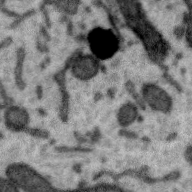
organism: Zebra finch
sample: Brain